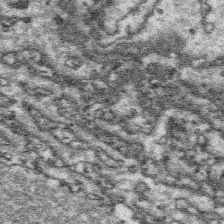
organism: Platynereis dumerilii